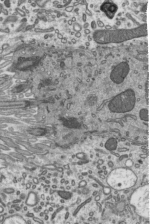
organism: Mouse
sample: Mouse epididymis efferent ductule cilia